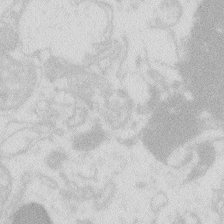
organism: Zebrafish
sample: Macrophage